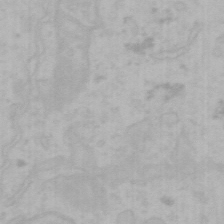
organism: Mouse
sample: Choroid plexus